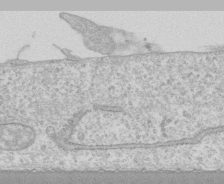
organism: Human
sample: CRL-1474